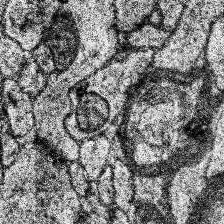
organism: Human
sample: Temporal Lobe